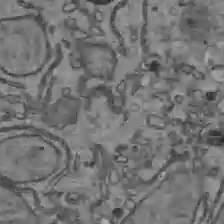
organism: C57BL Mouse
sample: Liver